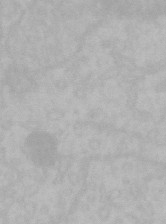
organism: Mouse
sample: Choroid plexus